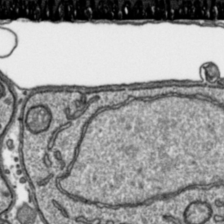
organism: Toxoplasma gondii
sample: Parasites in a vacuole inside a host cell